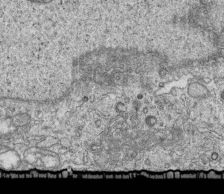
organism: Human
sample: HeLa cell HIV synapse